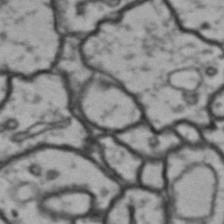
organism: Drosophila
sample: Brain